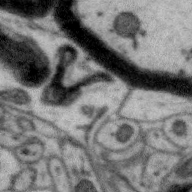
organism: Zebra finch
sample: Brain